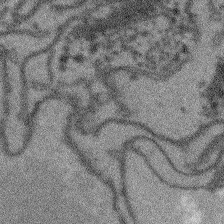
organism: Arabidopsis thaliana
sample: Root tip